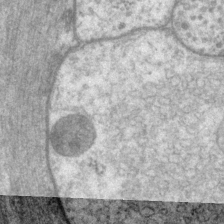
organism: P. pacificus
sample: Pharynx